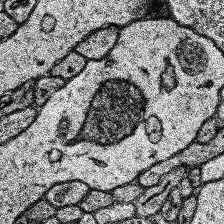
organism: Human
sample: Temporal Lobe